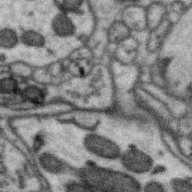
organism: Zebra finch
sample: Brain